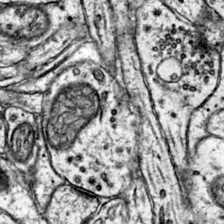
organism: Mouse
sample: Primary visual cortex